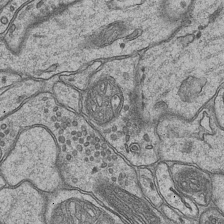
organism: Mouse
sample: CA1 Hippocampus